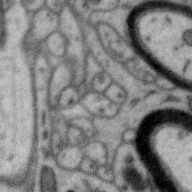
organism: Zebra finch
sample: Brain